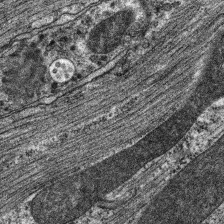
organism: C. elegans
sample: Pharynx